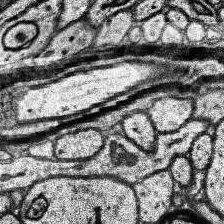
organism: Human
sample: Temporal Lobe